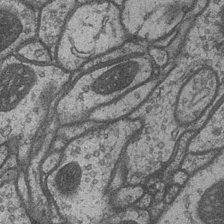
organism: Drosophila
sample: Optic medulla